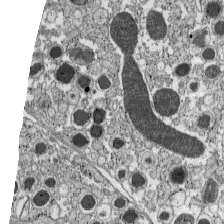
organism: C57BL Mouse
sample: Pancreatic islet